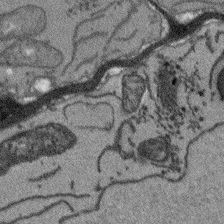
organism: Arabidopsis thaliana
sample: Root tip